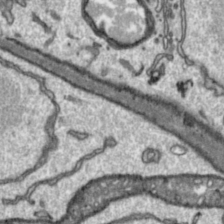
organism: Toxoplasma gondii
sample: Parasites in a vacuole inside a host cell